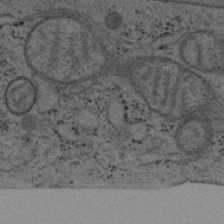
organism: Human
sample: HeLa cells